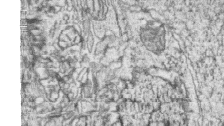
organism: Zebrafish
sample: synaptic ribbons in rod cells and cone cells